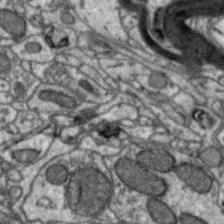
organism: Zebra finch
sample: Brain